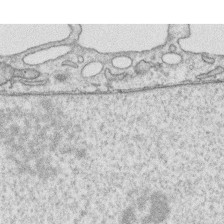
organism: Human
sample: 1205lu cells